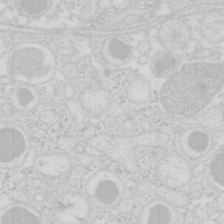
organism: Mouse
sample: Pancreas